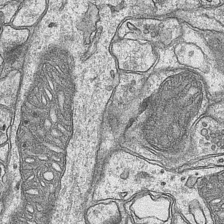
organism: Mouse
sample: CA1 Hippocampus